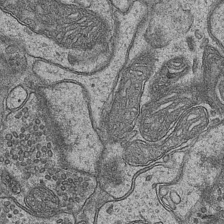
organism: Mouse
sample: CA1 Hippocampus